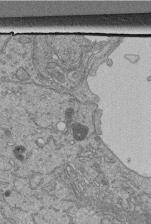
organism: Human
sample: Retinal organoid Rod and Cone cells